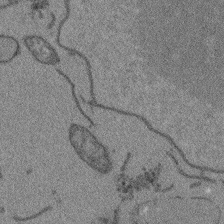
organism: Arabidopsis thaliana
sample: Root tip